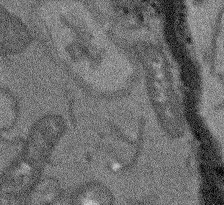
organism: Arabidopsis thaliana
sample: Root tip